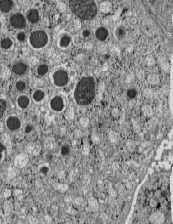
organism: C57BL Mouse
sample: Pancreatic islet